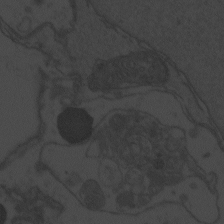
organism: Zebrafish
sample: Macrophage infected with Toxoplasma gondii